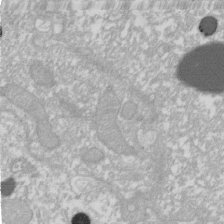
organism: Xenopus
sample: Cilia; centrioles in frog embryo cells